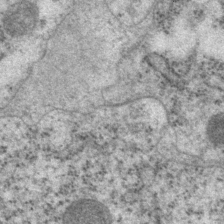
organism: P. pacificus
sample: Pharynx